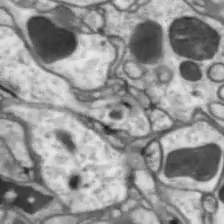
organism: Drosophila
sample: Optic lobe